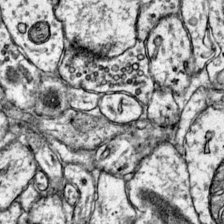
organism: Mouse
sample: Primary visual cortex